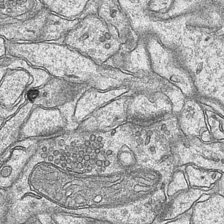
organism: Mouse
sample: CA1 Hippocampus